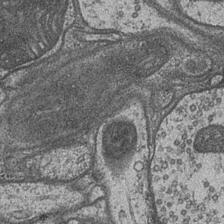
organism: Drosophila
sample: Optic medulla